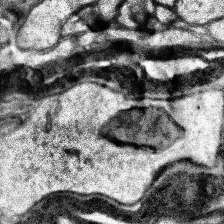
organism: Human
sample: Temporal Lobe